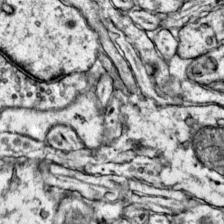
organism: Mouse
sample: Primary visual cortex